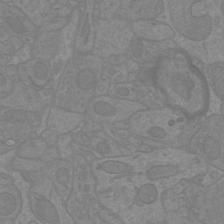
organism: Mouse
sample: Cortical neurons